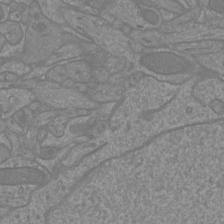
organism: Mouse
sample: Cortical neurons